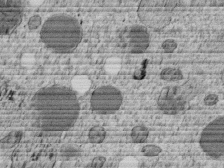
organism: C. elegans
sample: C. elegans embryo early stage